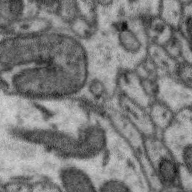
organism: Zebra finch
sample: Brain